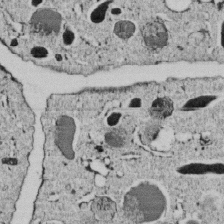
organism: C. elegans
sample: C. elegans embryo early stage